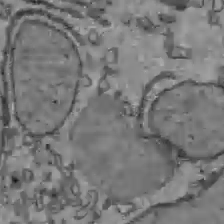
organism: C57BL Mouse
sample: Liver